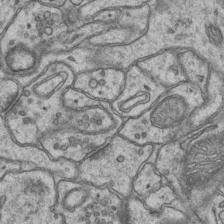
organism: Mouse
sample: CA1 Hippocampus